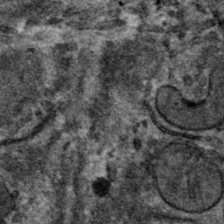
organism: Mouse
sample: Mouse hepatocytes